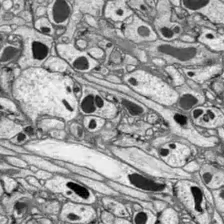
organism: Drosophila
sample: Optic lobe